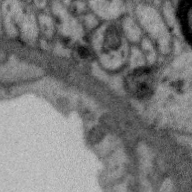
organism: Zebra finch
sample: Brain